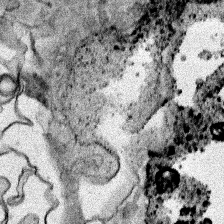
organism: Human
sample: Mitochondria in HCT116 cells